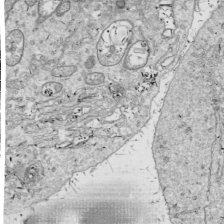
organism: Drosophila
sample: Cell division; meiosis; drosophila spermatocytes